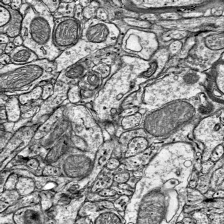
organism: Mouse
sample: Visual Cortex